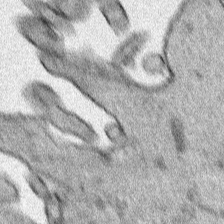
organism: Human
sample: Mitochondria in HCT116 cells